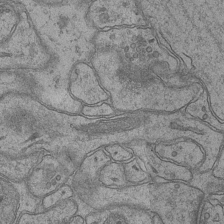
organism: Mouse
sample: CA1 Hippocampus